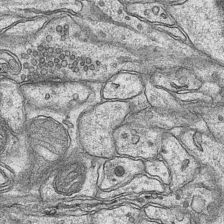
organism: Mouse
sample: CA1 Hippocampus